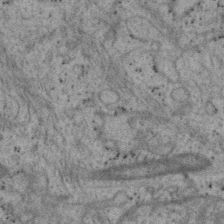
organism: Human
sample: HeLa cells